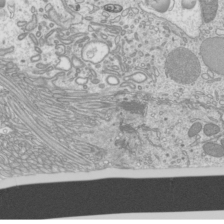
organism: Mouse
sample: Cilia; mouse epididymis